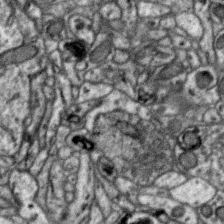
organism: Zebra finch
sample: Brain